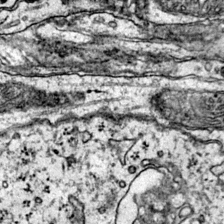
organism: Mouse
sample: Primary visual cortex